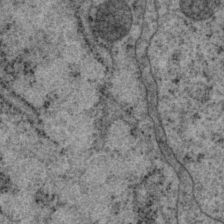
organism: P. pacificus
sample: Pharynx